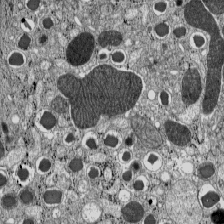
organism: C57BL Mouse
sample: Pancreatic islet